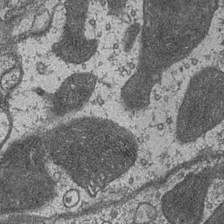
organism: Drosophila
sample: Optic medulla